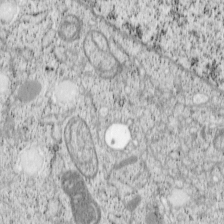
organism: African green monkey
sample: COS-7 cells